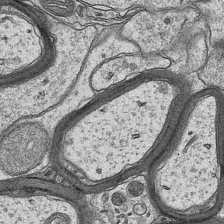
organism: Mouse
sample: CA1 Hippocampus